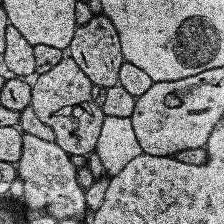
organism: Human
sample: Temporal Lobe